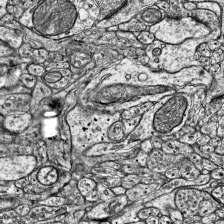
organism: Mouse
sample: Visual Cortex